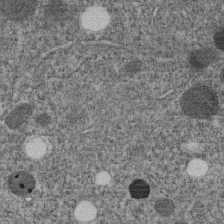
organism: C. elegans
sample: C. elegans embryo early stage